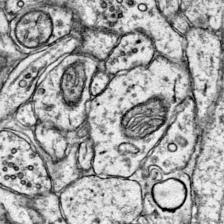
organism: Mouse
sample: Primary visual cortex